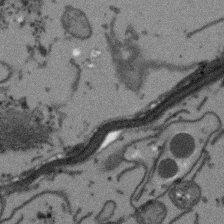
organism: Arabidopsis thaliana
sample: Root tip